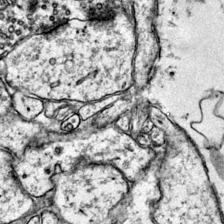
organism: Mouse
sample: Primary visual cortex